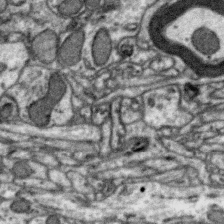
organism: Zebra finch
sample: Brain